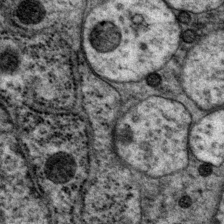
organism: P. pacificus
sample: Pharynx